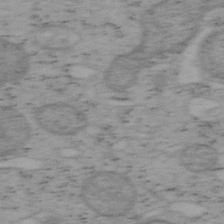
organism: Mouse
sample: OT-I killer T cells with ID8 ovarian cancer cells